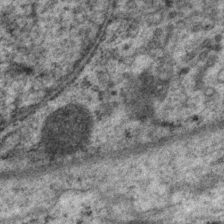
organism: P. pacificus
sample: Pharynx